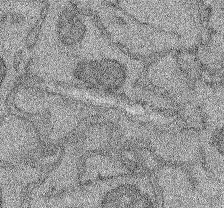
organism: Human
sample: HeLa cells